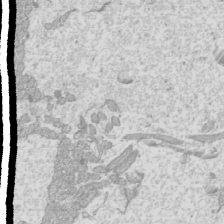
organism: Mouse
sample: Cilia; mouse epididymis